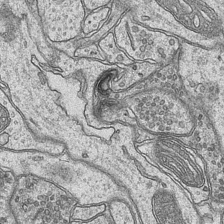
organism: Mouse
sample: CA1 Hippocampus